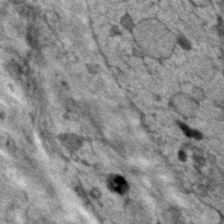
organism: Human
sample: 1205lu cells